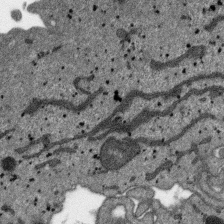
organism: Human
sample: Lung epithelial cells, uninfected (mock) control